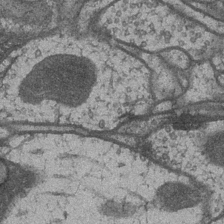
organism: Drosophila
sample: Optic medulla